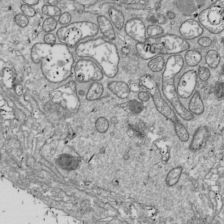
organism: Drosophila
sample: Cell division; meiosis; drosophila spermatocytes